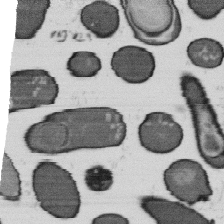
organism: B. subtilis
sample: Bacterial spore